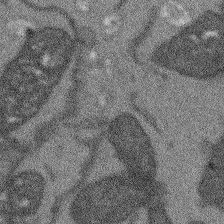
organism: Arabidopsis thaliana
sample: Root tip